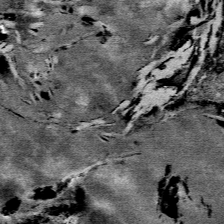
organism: Mouse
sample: Mouse Salivary gland